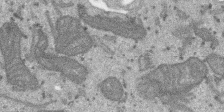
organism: Human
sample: Lung epithelial cells infected with SARS-CoV-2